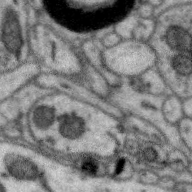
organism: Zebra finch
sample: Brain